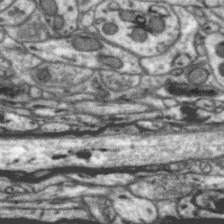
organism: Zebra finch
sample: Brain